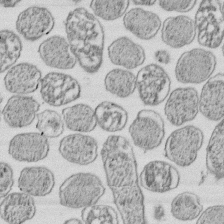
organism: E. coli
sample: Bacterial nucleoid